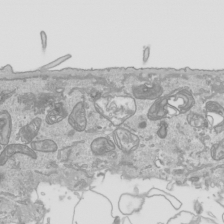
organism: Human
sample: Mitochondria in HCT116 cells